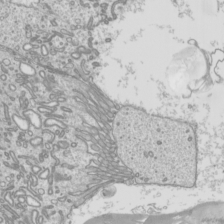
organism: Mouse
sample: Cilia; mouse epididymis